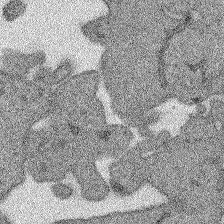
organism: Human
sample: HeLa cells